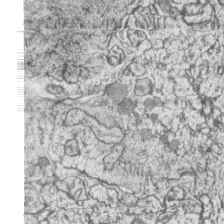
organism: Zebrafish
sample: synaptic ribbons in rod cells and cone cells